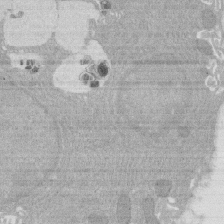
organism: Rat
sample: Salivary granule